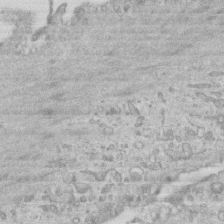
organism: Mouse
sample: Centriole in ependymal cells